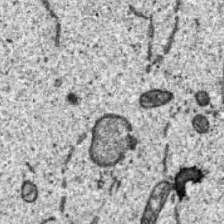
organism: Human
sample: HeLa cells